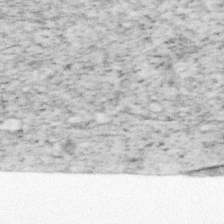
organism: Mouse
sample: OT-I killer T cells with ID8 ovarian cancer cells